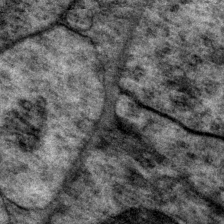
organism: P. pacificus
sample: Pharynx